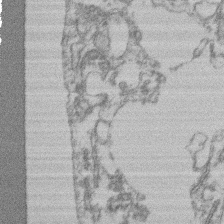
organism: Mouse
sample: T cell stromal cell synapse